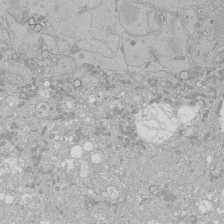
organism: Human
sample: Caco-2 cells